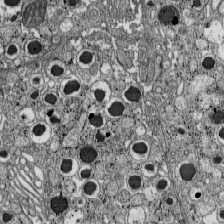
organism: C57BL Mouse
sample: Pancreatic islet